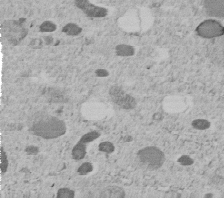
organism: C. elegans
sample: C. elegans embryo early stage